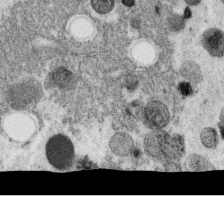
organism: C. elegans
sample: C. elegans oocyte; sperm cells